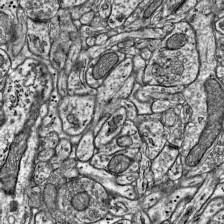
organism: Mouse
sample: Visual Cortex